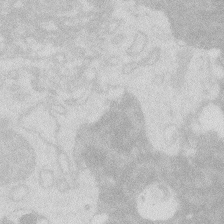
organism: Zebrafish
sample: Macrophage